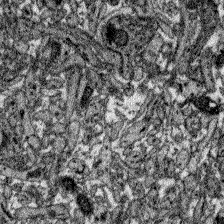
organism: Zebrafish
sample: Larval olfactory bulb